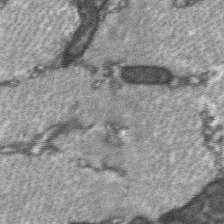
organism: C57BL Mouse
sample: Soleus